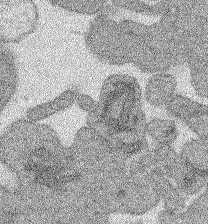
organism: Human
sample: HeLa cells